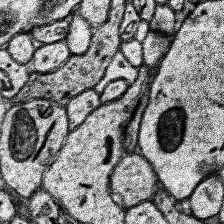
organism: Human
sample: Temporal Lobe